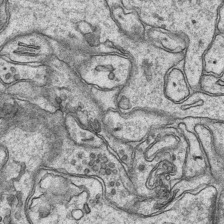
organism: Mouse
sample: CA1 Hippocampus